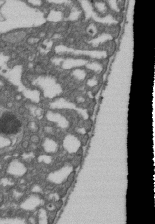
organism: Drosophila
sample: Nephrocyte